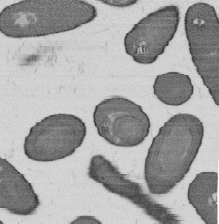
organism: B. subtilis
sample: Bacterial spore